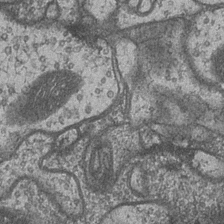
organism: Drosophila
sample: Optic medulla